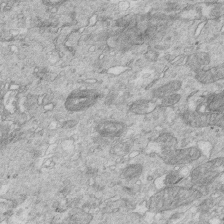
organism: Mouse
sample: Multiciliated cells